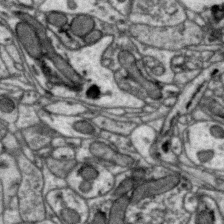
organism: Zebra finch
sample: Brain